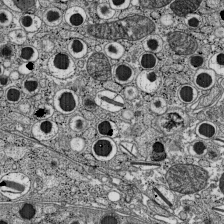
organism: C57BL Mouse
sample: Pancreatic islet